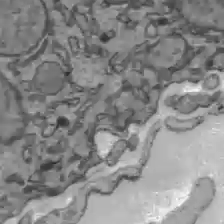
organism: C57BL Mouse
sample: Liver